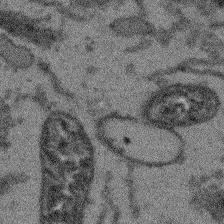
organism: Arabidopsis thaliana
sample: Root tip